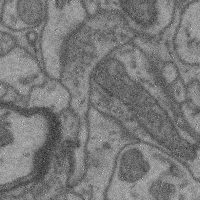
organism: Mouse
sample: Cerebral cortex